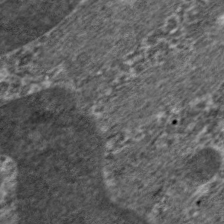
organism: C. elegans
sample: Pharynx